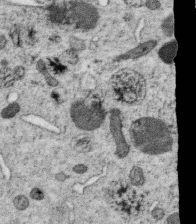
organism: C. elegans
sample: C. elegans oocyte; sperm cells